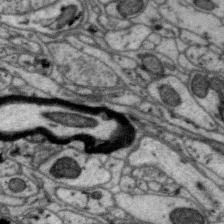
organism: Zebra finch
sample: Brain